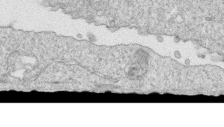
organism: Human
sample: HeLa cell HIV synapse